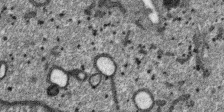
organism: Human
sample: Lung epithelial cells infected with SARS-CoV-2